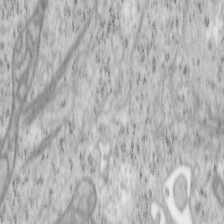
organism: Human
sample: HeLa cells